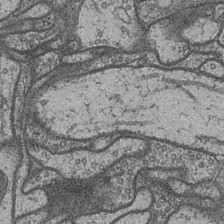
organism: Drosophila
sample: Optic medulla